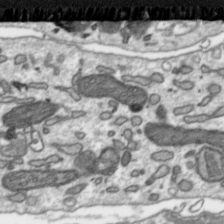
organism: Toxoplasma gondii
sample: Parasites in a vacuole inside a host cell